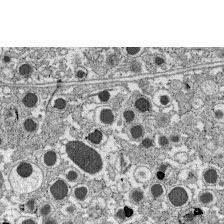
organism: C57BL Mouse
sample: Pancreatic islet